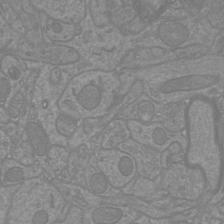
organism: Mouse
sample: Cortical neurons